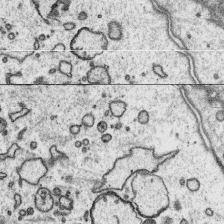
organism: Platynereis dumerilii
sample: Parapodia